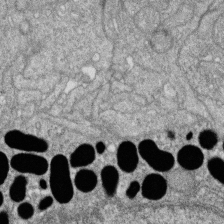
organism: Zebrafish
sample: Cilia; retinal pigment epithelium